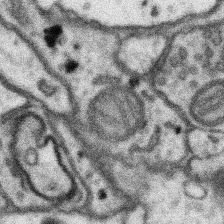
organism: Mouse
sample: Somatosensory cortex neuropil